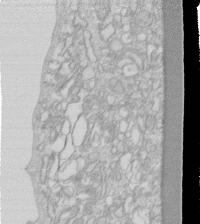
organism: Human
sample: Fibroblast cells